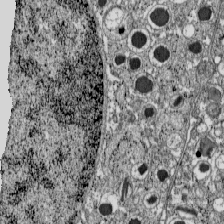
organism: C57BL Mouse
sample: Pancreatic islet